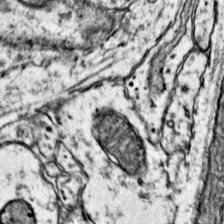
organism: Mouse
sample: Primary visual cortex